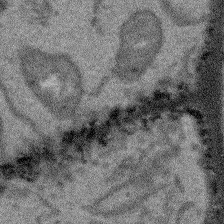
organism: Arabidopsis thaliana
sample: Root tip